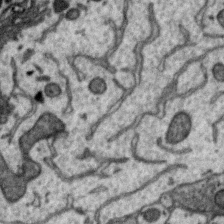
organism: Zebra finch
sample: Brain